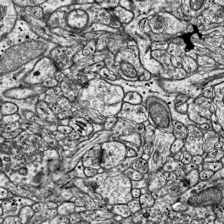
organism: Mouse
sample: Visual Cortex